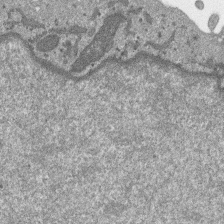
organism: Human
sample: Lung epithelial cells infected with SARS-CoV-2